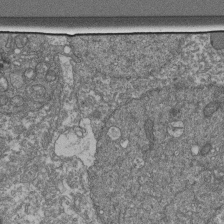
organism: Human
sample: Retinal organoid Rod and Cone cells